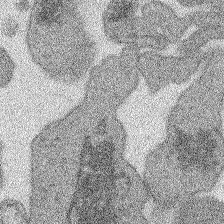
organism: Human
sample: HeLa cells